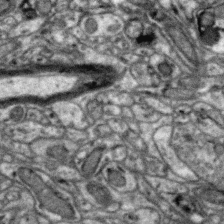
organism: Zebra finch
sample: Brain